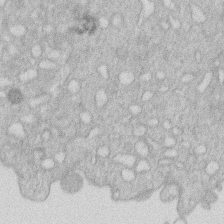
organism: Human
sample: Macrophage cells